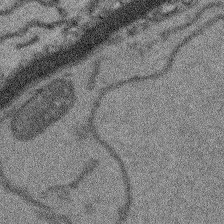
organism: Arabidopsis thaliana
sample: Root tip